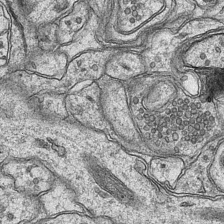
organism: Mouse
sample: CA1 Hippocampus